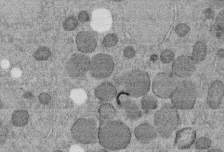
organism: C. elegans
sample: C. elegans embryo early stage